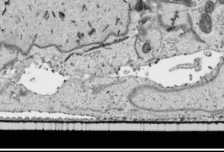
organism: Human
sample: Mitochondria in HCT116 cells